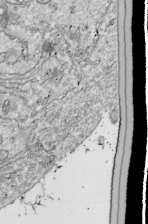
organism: Drosophila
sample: Cell division; meiosis; drosophila spermatocytes